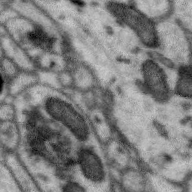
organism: Zebra finch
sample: Brain